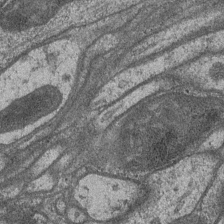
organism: Drosophila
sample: Optic medulla